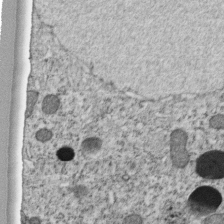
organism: C. elegans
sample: C. elegans embryo early stage